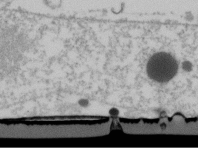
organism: Human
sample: U2-OS cells